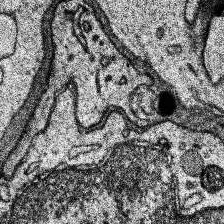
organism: Human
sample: Temporal Lobe